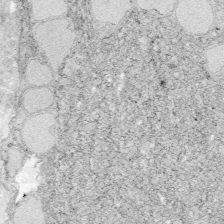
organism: Zebrafish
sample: Whole-Brain